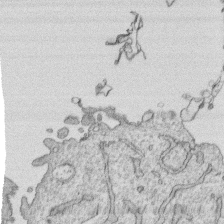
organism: Human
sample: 1205lu cells